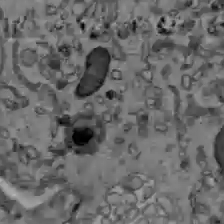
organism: C57BL Mouse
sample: Liver